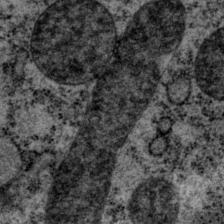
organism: P. pacificus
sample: Pharynx